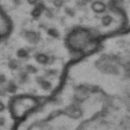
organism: Drosophila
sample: Brain